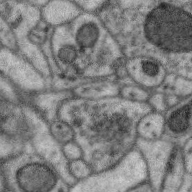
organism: Zebra finch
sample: Brain